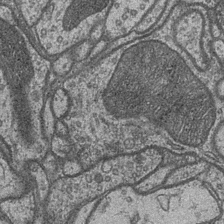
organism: Drosophila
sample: Optic medulla